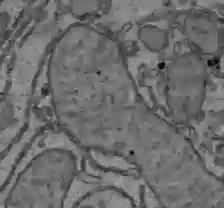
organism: C57BL Mouse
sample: Liver